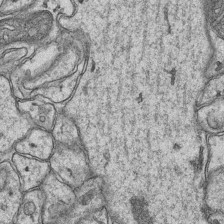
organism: Mouse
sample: CA1 Hippocampus